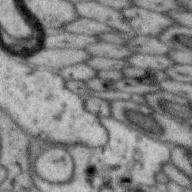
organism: Zebra finch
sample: Brain